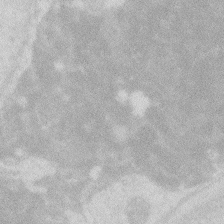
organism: Zebrafish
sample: Macrophage